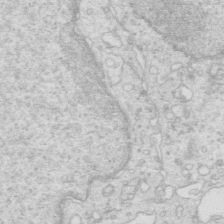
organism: Mouse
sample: Multiciliated cells